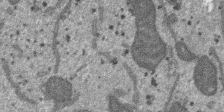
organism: Human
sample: Lung epithelial cells infected with SARS-CoV-2